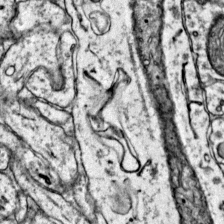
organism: Mouse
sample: Primary visual cortex